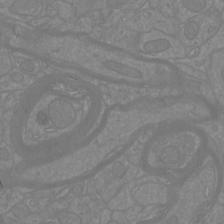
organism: Mouse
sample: Cortical neurons